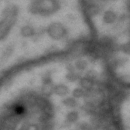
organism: Drosophila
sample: Brain